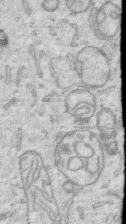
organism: Human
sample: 1205lu cells